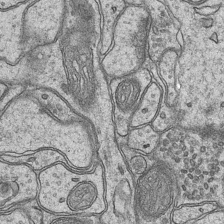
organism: Mouse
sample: CA1 Hippocampus